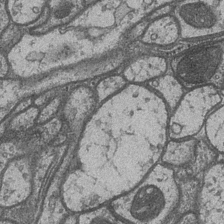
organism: Drosophila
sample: Optic medulla